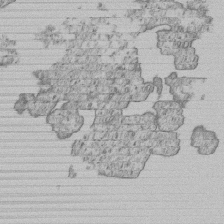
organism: Human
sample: MDA-MB-231 cells